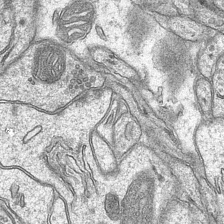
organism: Mouse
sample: CA1 Hippocampus